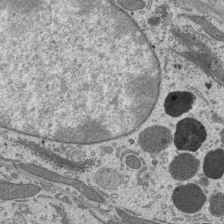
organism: Mouse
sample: Mouse epididymis efferent ductule cilia